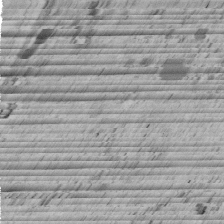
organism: C. elegans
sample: C. elegans embryo early stage